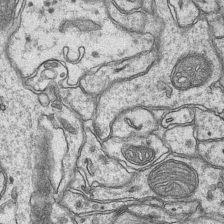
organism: Mouse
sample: CA1 Hippocampus